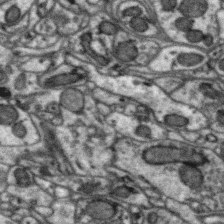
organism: Zebra finch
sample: Brain